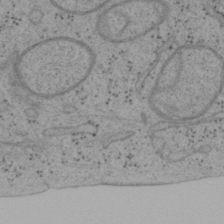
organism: Human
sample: HeLa cells